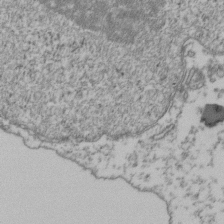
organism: Human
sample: Activated Jurkat CD4+ T cells